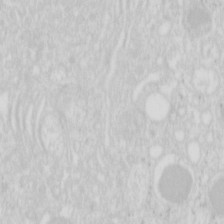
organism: Mouse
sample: Pancreas